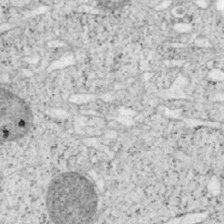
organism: Mouse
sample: OT-I killer T cells with ID8 ovarian cancer cells